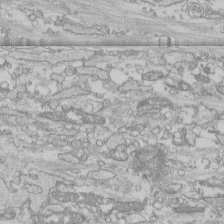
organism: Human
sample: CRL-1474